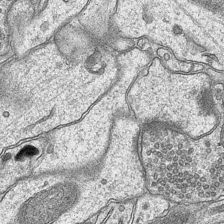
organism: Mouse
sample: CA1 Hippocampus